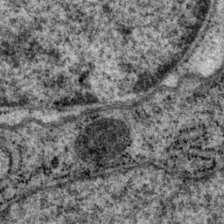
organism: P. pacificus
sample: Pharynx